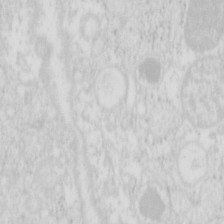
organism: Mouse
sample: Pancreas